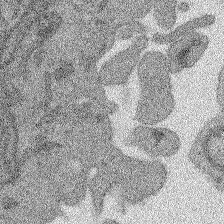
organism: Human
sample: HeLa cells